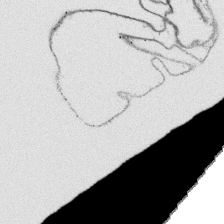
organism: Platynereis dumerilii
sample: Parapodia